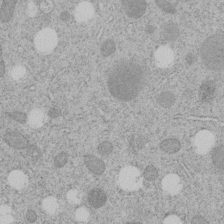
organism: C. elegans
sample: C. elegans embryo early stage